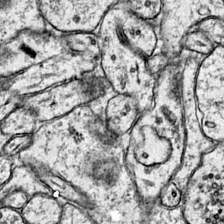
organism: Mouse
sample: Primary visual cortex